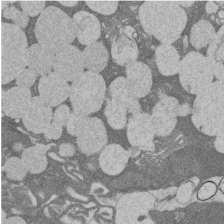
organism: Rat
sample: Salivary granule